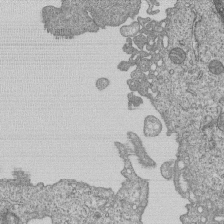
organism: Human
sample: MDA-MB-231 cells